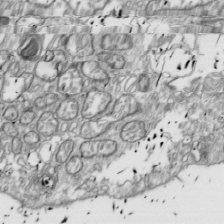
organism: Drosophila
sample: Cell division; meiosis; drosophila spermatocytes